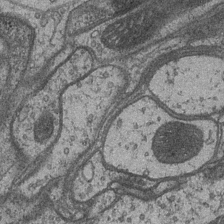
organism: Drosophila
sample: Optic medulla